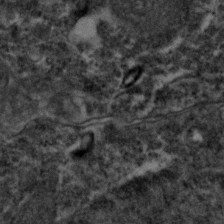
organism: Zebrafish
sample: Zebrafish embryo